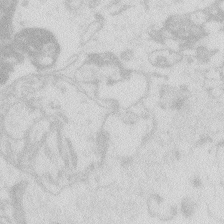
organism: Zebrafish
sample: Macrophage